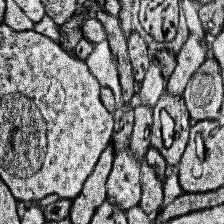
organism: Human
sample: Temporal Lobe